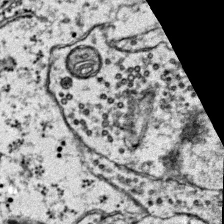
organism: Mouse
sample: Primary visual cortex